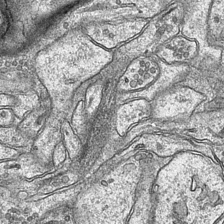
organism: Mouse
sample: CA1 Hippocampus